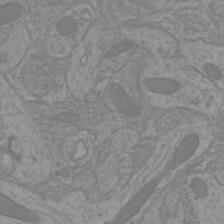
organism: Mouse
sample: Cortical neurons